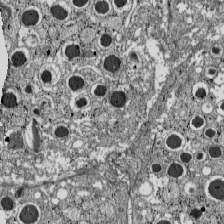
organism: C57BL Mouse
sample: Pancreatic islet